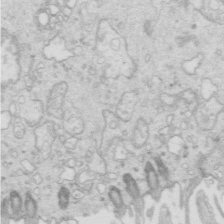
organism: Mouse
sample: Multiciliated cells